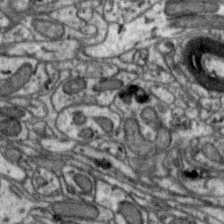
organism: Zebra finch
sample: Brain